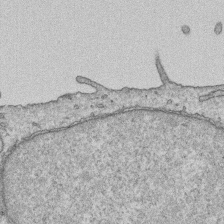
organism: Human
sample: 1205lu cells